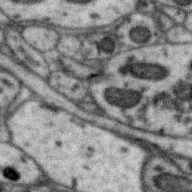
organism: Zebra finch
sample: Brain